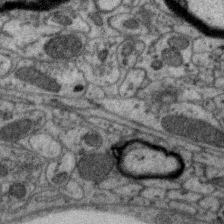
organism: Zebra finch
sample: Brain